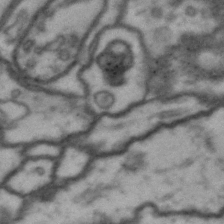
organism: Drosophila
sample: Brain